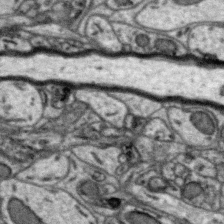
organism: Zebra finch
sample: Brain